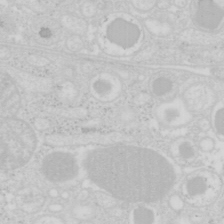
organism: Mouse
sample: Pancreas